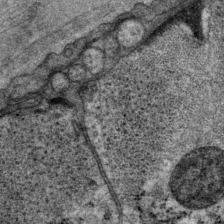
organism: P. pacificus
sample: Pharynx